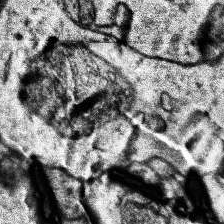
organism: Human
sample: Temporal Lobe